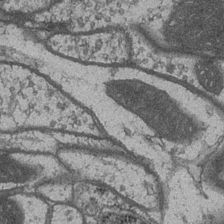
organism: Drosophila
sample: Optic medulla